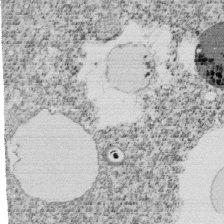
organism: Tetrahymena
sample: Cilia in tetrahymena